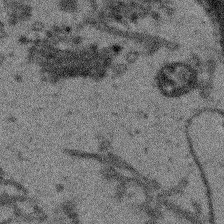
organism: Arabidopsis thaliana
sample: Root tip